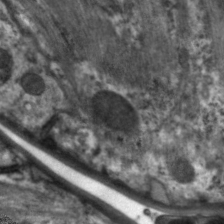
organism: C. elegans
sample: Pharynx